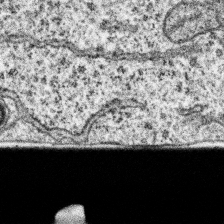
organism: Human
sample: HeLa cells